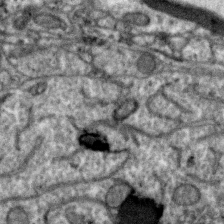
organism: Zebra finch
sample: Brain